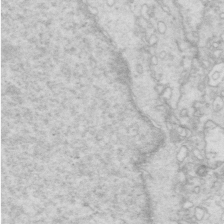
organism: Mouse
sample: Multiciliated cells